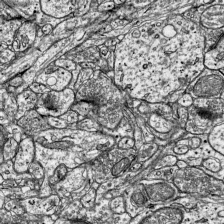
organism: Mouse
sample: Visual Cortex